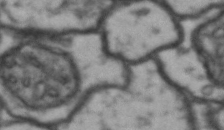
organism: Drosophila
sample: Brain